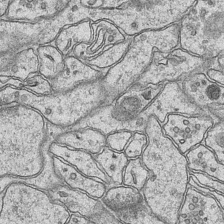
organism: Mouse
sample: CA1 Hippocampus